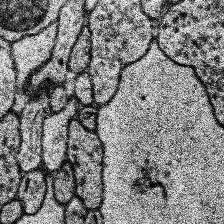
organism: Human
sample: Temporal Lobe